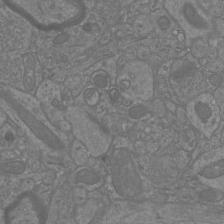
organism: Mouse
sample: Cortical neurons